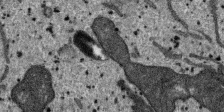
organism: Human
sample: Lung epithelial cells, uninfected (mock) control